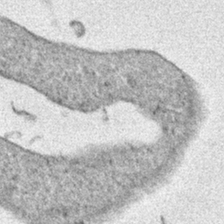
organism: Human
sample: Mitochondria in HCT116 cells